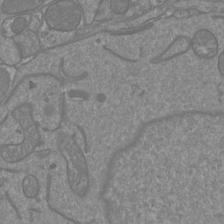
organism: Mouse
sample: Cortical neurons